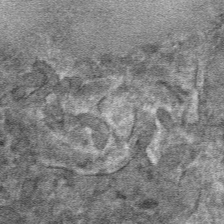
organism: Mouse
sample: Mouse hepatocytes